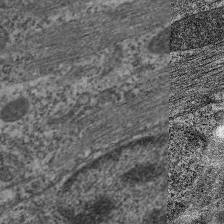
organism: C. elegans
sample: Pharynx